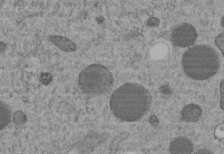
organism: C. elegans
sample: C. elegans embryo early stage